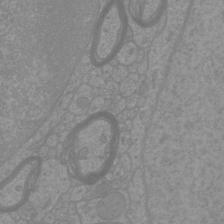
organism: Mouse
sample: Cortical neurons